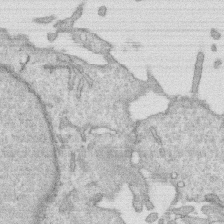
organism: Human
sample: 1205lu cells